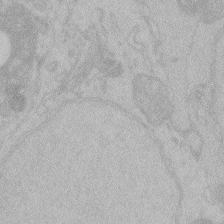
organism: Zebrafish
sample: Macrophage infected with Toxoplasma gondii